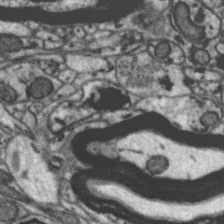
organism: Zebra finch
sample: Brain